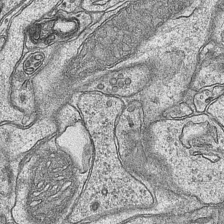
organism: Mouse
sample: CA1 Hippocampus